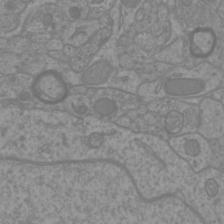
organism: Mouse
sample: Cortical neurons